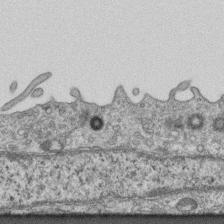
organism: Mouse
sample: Centriole in ependymal cells